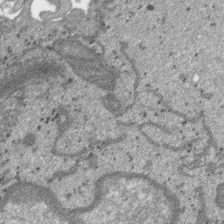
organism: Human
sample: Lung epithelial cells infected with SARS-CoV-2